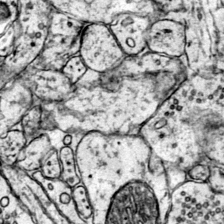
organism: Mouse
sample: Primary visual cortex